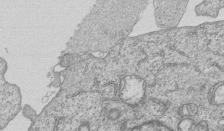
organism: Human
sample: MDA-MB-231 cells